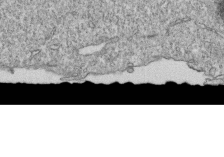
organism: Human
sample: HeLa cell HIV synapse